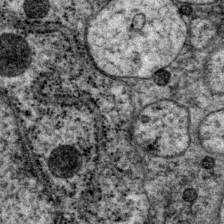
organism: P. pacificus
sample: Pharynx